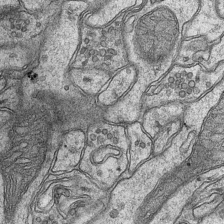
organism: Mouse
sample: CA1 Hippocampus